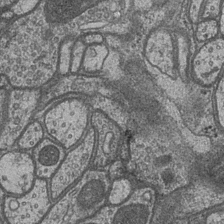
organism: Drosophila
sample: Optic medulla